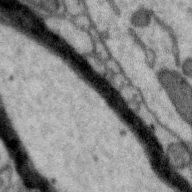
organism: Zebra finch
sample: Brain